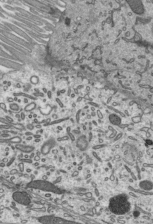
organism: Mouse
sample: Mouse epididymis efferent ductule cilia